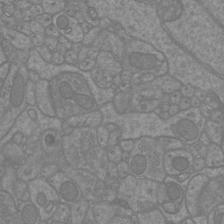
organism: Mouse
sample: Cortical neurons